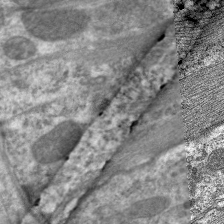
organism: C. elegans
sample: Pharynx